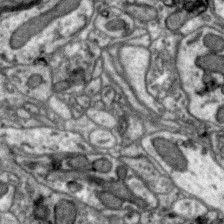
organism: Zebra finch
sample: Brain